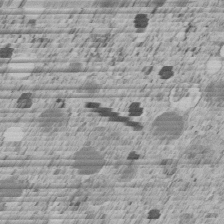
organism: C. elegans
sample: C. elegans embryo early stage